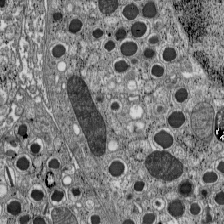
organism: C57BL Mouse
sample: Pancreatic islet